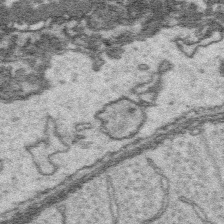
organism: Platynereis dumerilii